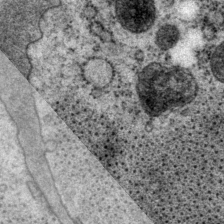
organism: P. pacificus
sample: Pharynx